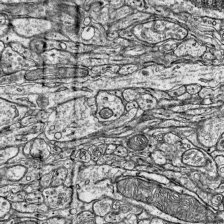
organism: Mouse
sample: Visual Cortex